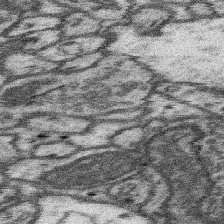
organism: Mouse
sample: Somatosensory cortex neuropil